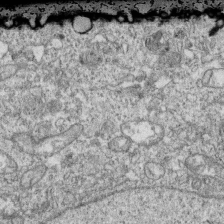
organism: Human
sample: HeLa cell HIV synapse